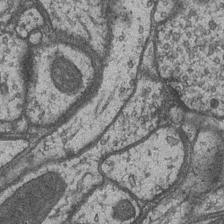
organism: Drosophila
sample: Optic medulla